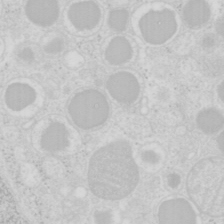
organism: Mouse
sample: Pancreas